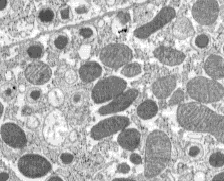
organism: C57BL Mouse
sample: Pancreatic islet